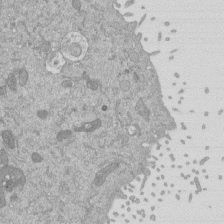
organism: Mouse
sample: ED-1 cell nuclei; centrioles